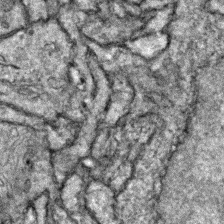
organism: Zebrafish